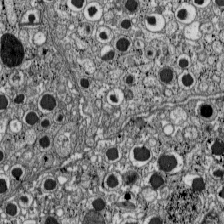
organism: C57BL Mouse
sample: Pancreatic islet